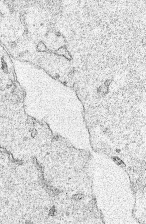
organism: Human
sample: Mitochondria in HCT116 cells